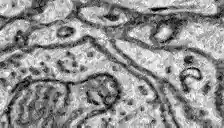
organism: Zebrafish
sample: Brain